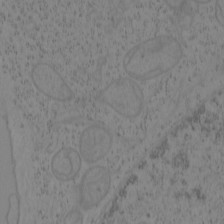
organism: Human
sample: HeLa cells